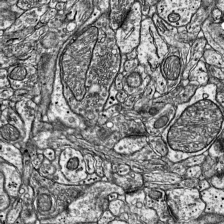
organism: Mouse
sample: Visual Cortex